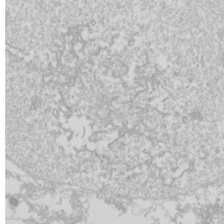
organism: Drosophila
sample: Cell division; meiosis; drosophila spermatocytes